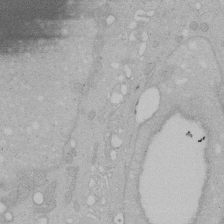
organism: Human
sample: Melanocyte Keratinocyte synapse skin construct